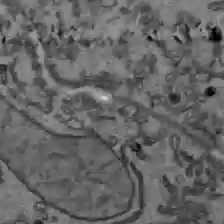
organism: C57BL Mouse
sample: Liver